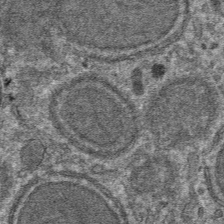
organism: Mouse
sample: Mouse hepatocytes